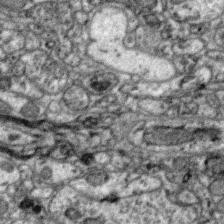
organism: Zebra finch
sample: Brain